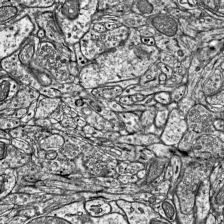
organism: Mouse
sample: Visual Cortex